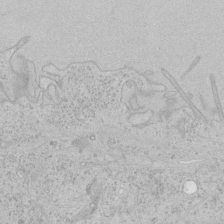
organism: Human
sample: Mitochondria in HCT116 cells